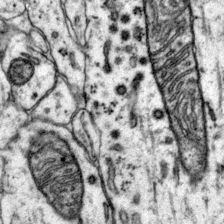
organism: Mouse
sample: Primary visual cortex